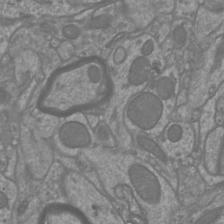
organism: Mouse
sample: Cortical neurons